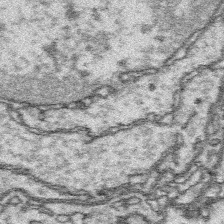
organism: Platynereis dumerilii